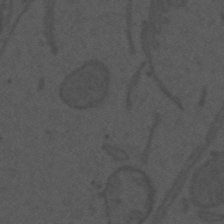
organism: Mouse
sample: Suprachiasmatic nucleus